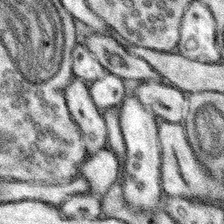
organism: Mouse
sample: Somatosensory cortex neuropil